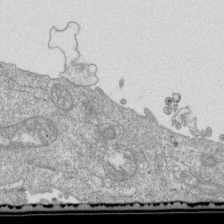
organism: Human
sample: HeLa cell HIV synapse